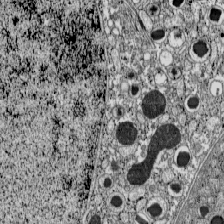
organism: C57BL Mouse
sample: Pancreatic islet